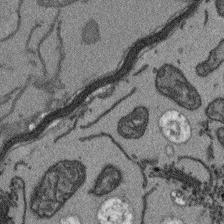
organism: Arabidopsis thaliana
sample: Root tip